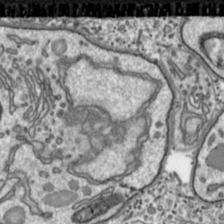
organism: Toxoplasma gondii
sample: Parasites in a vacuole inside a host cell